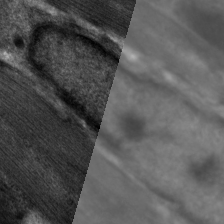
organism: C. elegans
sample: Pharynx